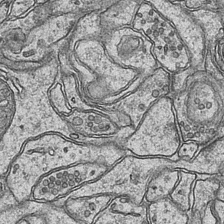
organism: Mouse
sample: CA1 Hippocampus